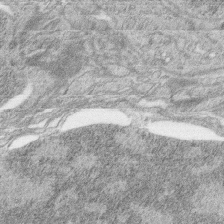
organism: Zebrafish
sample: synaptic ribbons in rod cells and cone cells